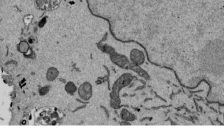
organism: Mouse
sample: ED-1 cell nuclei; centrioles